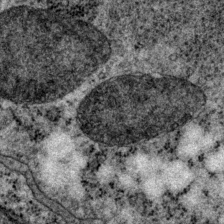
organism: P. pacificus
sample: Pharynx